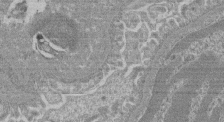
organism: Mouse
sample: Glomerulus